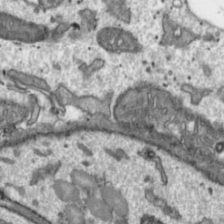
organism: Toxoplasma gondii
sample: Parasites in a vacuole inside a host cell